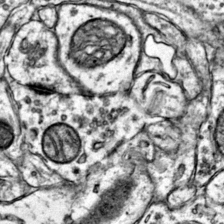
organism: Mouse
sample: Primary visual cortex